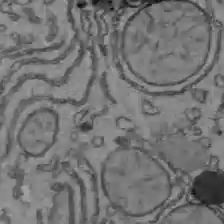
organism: C57BL Mouse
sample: Liver